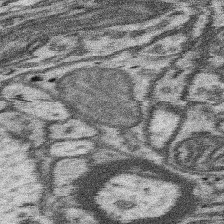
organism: Mouse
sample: Somatosensory cortex neuropil